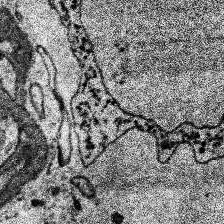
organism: Human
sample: Temporal Lobe